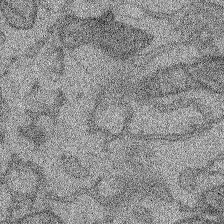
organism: Human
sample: HeLa cells